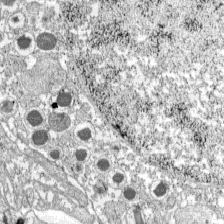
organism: C57BL Mouse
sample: Pancreatic islet